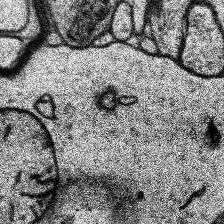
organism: Human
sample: Temporal Lobe